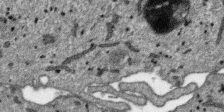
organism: Human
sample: Lung epithelial cells, uninfected (mock) control